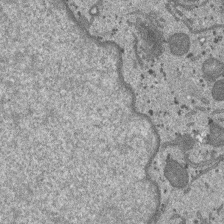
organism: Human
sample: Lung epithelial cells infected with SARS-CoV-2